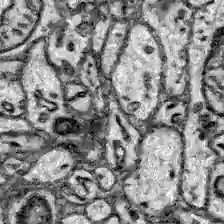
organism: Zebrafish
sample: Brain